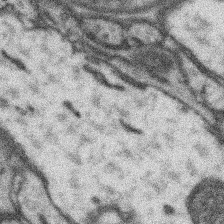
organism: Mouse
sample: Somatosensory cortex neuropil